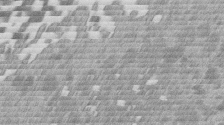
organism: Mouse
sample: Dividing mouse embryo 1 cell stage